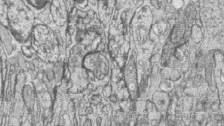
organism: Zebrafish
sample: synaptic ribbons in rod cells and cone cells